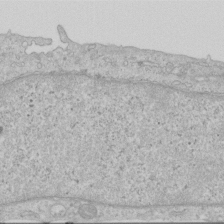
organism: Human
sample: Centriole in RPE cells